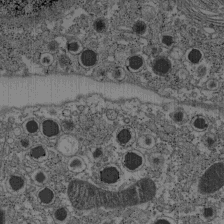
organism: C57BL Mouse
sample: Pancreatic islet